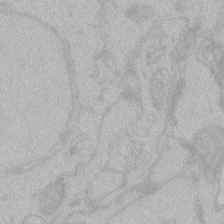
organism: Zebrafish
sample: Macrophage infected with Toxoplasma gondii